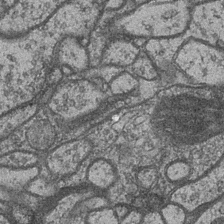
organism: Drosophila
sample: Optic medulla